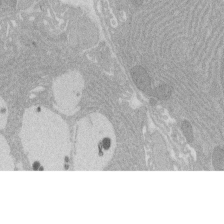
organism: Rat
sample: Salivary granule